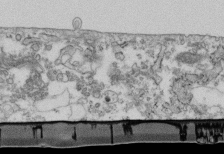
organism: Mouse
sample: Cilia; retinal pigment epithelium